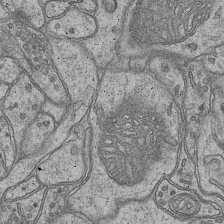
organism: Mouse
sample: CA1 Hippocampus